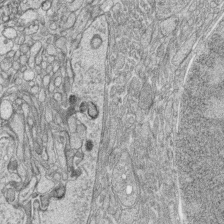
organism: Zebrafish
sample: synaptic ribbons in rod cells and cone cells